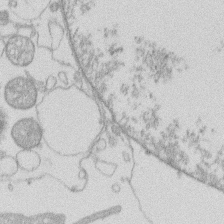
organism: Human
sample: Macrophage cells